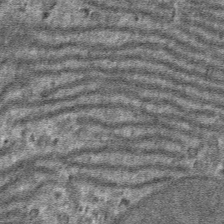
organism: Mouse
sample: Mouse hepatocytes